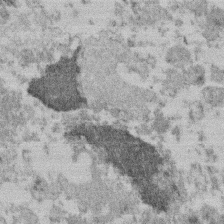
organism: Mouse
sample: Dividing mouse embryo 1 cell stage